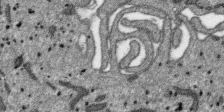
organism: Human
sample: Lung epithelial cells, uninfected (mock) control